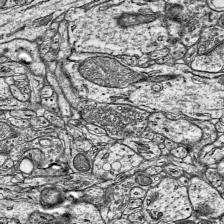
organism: Mouse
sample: Visual Cortex